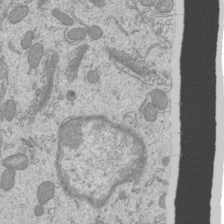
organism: Mouse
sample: Cilia; mouse epididymis